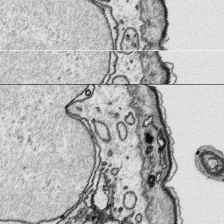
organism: Platynereis dumerilii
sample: Parapodia